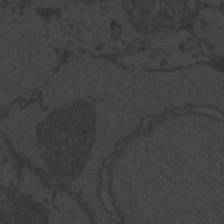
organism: Zebrafish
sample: Macrophage infected with Toxoplasma gondii